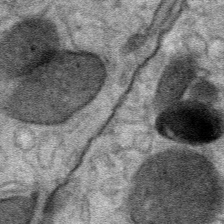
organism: Mouse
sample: Mouse Salivary gland